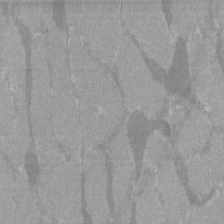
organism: C57BL Mouse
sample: Tibialis anterior muscle cell